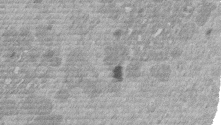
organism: Mouse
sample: Dividing mouse embryo 1 cell stage